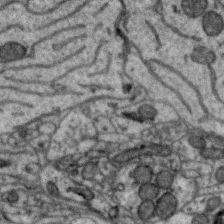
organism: Zebra finch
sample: Brain